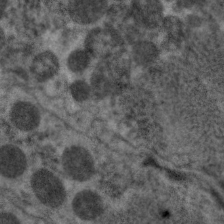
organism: C. elegans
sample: Pharynx